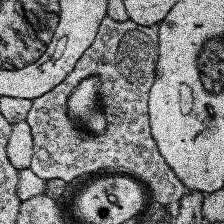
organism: Human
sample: Temporal Lobe